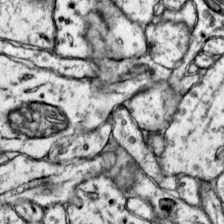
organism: Mouse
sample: Primary visual cortex